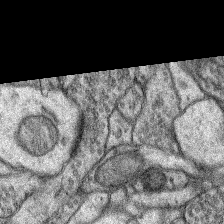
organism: Rat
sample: Hippocampus